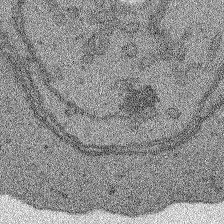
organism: Human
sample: HeLa cells